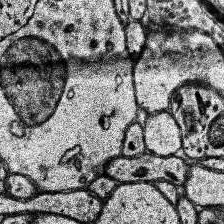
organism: Human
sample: Temporal Lobe